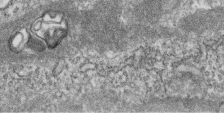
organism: Zebrafish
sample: Cilia; retinal pigment epithelium